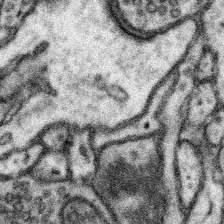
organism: Mouse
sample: Somatosensory cortex neuropil